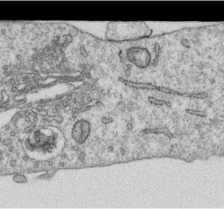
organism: Human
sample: Centriole in RPE cells